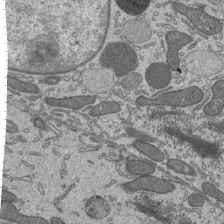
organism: Mouse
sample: Mouse epididymis efferent ductule cilia